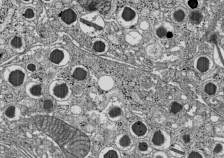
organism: C57BL Mouse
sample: Pancreatic islet